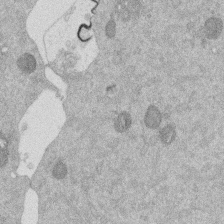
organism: Mouse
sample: Dividing mouse embryo 1 cell stage